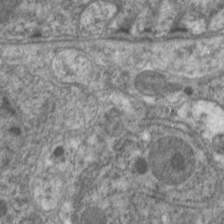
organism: C. elegans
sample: Pharynx